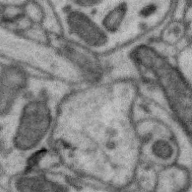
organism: Zebra finch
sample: Brain